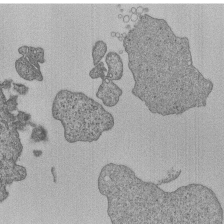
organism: Human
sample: MDA-MB-231 cells